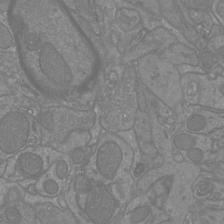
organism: Mouse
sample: Cortical neurons